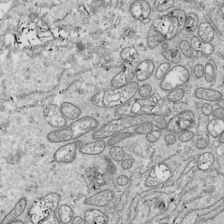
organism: Drosophila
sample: Cell division; meiosis; drosophila spermatocytes